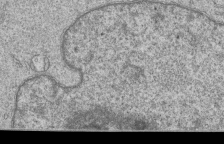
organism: Human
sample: MDA-MB-231 cells